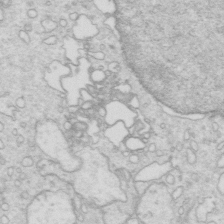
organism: Mouse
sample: Multiciliated cells